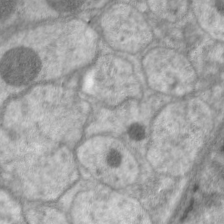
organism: C. elegans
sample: Pharynx